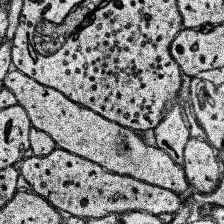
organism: Human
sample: Temporal Lobe